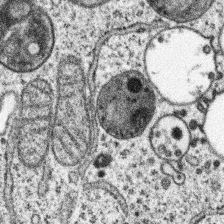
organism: Human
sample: HeLa cells